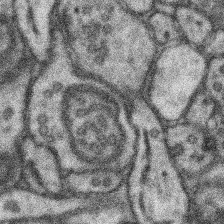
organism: Mouse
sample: Somatosensory cortex neuropil